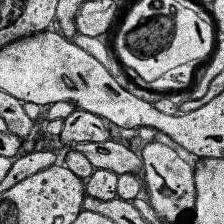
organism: Human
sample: Temporal Lobe